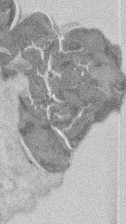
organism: Mouse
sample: T cell stromal cell synapse